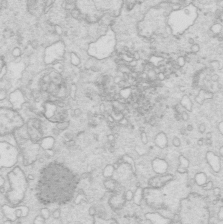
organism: Mouse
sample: Multiciliated cells